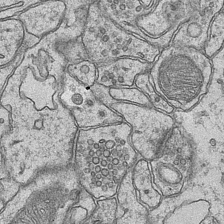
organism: Mouse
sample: CA1 Hippocampus